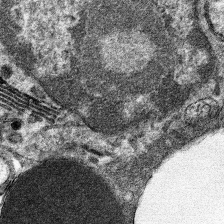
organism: Mouse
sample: Mouse hepatocytes